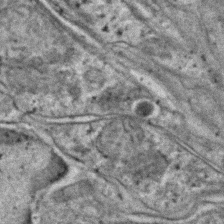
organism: C. elegans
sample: C. elegans embryo